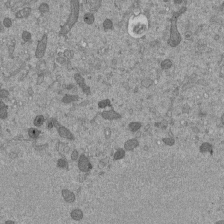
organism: Mouse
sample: ED-1 cell nuclei; centrioles